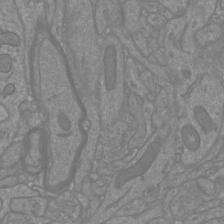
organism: Mouse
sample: Cortical neurons